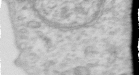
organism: Human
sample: Centriole in RPE cells